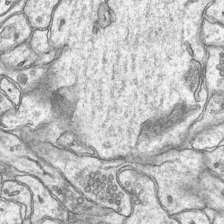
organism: Mouse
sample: CA1 Hippocampus